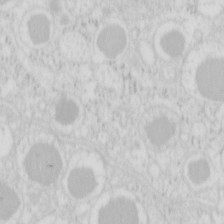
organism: Mouse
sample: Pancreas